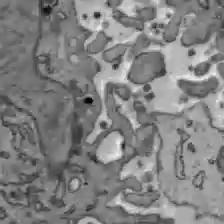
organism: C57BL Mouse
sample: Liver